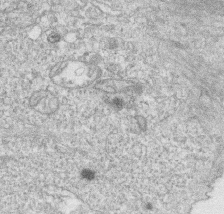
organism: Human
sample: HeLa cell HIV synapse